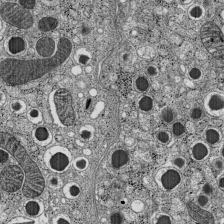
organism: C57BL Mouse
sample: Pancreatic islet